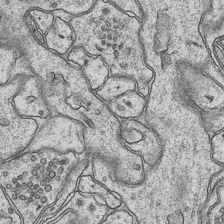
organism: Mouse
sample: CA1 Hippocampus